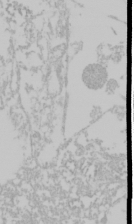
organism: Mouse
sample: Cancer cell death in ED-1 cells